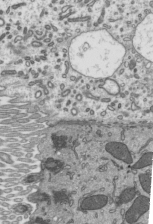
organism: Mouse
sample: Mouse epididymis efferent ductule cilia